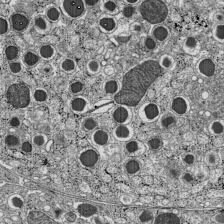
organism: C57BL Mouse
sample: Pancreatic islet